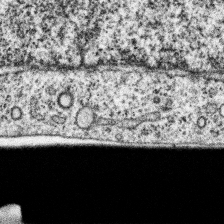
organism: Human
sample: HeLa cells